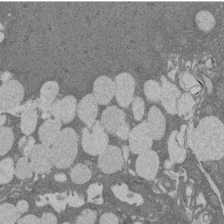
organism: Rat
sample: Salivary granule